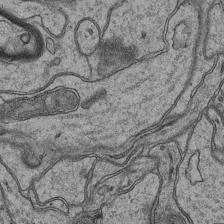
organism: Mouse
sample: CA1 Hippocampus